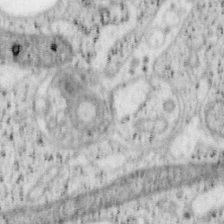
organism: Mouse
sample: OT-I killer T cells with ID8 ovarian cancer cells